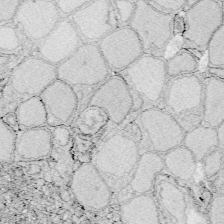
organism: Zebrafish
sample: Whole-Brain